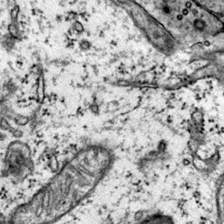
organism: Mouse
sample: Primary visual cortex